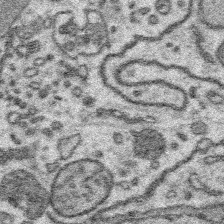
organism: Platynereis dumerilii